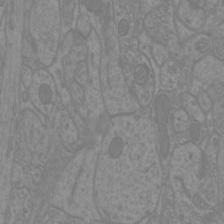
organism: Mouse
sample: Cortical neurons